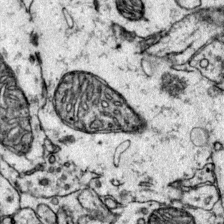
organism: Mouse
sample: Primary visual cortex